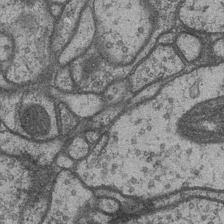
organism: Drosophila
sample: Optic medulla